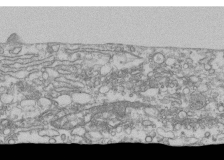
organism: Human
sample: Fibroblast cells